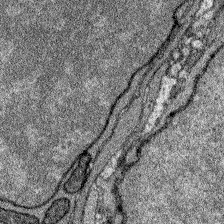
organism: Zebrafish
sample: Larval olfactory bulb